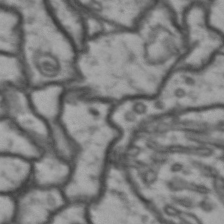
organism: Drosophila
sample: Brain